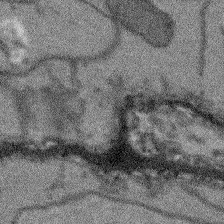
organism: Arabidopsis thaliana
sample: Root tip